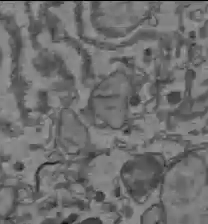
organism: C57BL Mouse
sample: Liver